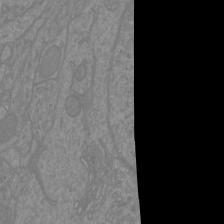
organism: Mouse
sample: Cortical neurons